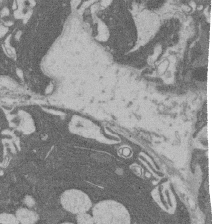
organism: Rat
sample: Salivary granule